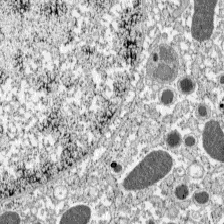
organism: C57BL Mouse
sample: Pancreatic islet